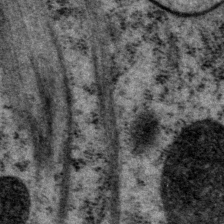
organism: P. pacificus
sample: Pharynx